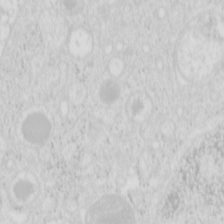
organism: Mouse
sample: Pancreas